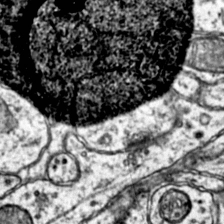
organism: Mouse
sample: Primary visual cortex